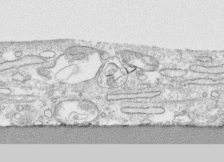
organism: Human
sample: CRL-1474